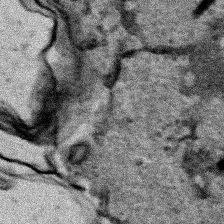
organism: Human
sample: Mitochondria in HCT116 cells